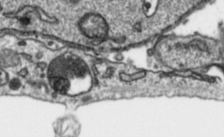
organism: Toxoplasma gondii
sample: Parasites in a vacuole inside a host cell